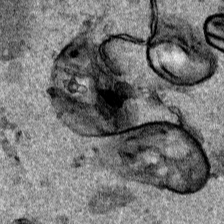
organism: Human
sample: Mitochondria in HCT116 cells